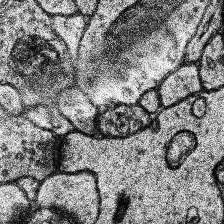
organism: Human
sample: Temporal Lobe